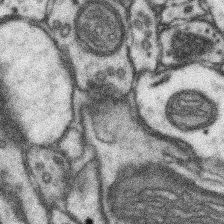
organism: Mouse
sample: Somatosensory cortex neuropil